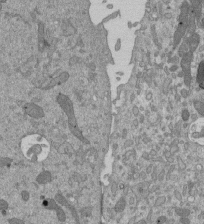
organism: Mouse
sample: ED-1 cell nuclei; centrioles